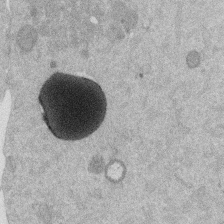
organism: Mouse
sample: Dividing mouse embryo 1 cell stage